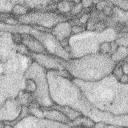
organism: Rabbit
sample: Retina